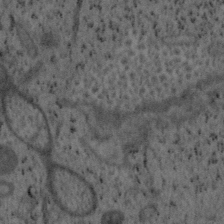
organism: Human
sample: HeLa cells